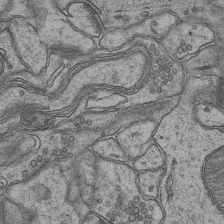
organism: Mouse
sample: CA1 Hippocampus